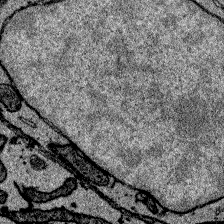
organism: Zebrafish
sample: Larval olfactory bulb